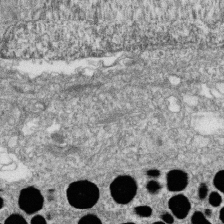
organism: Zebrafish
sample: Cilia; retinal pigment epithelium